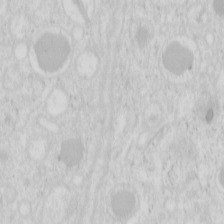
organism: Mouse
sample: Pancreas